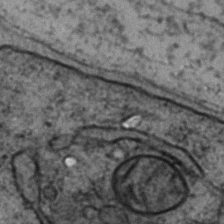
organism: Zebrafish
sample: Zebrafish embryo